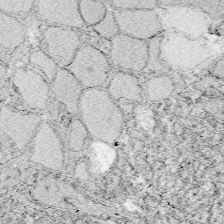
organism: Zebrafish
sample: Whole-Brain